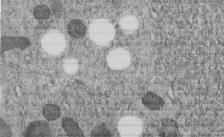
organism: C. elegans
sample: C. elegans embryo early stage